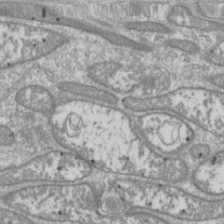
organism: Drosophila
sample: Cell division; meiosis; drosophila spermatocytes